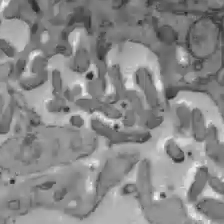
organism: C57BL Mouse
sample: Liver